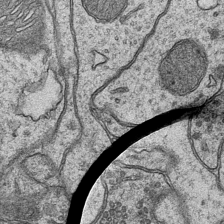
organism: Mouse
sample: CA1 Hippocampus